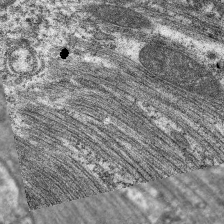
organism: C. elegans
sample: Pharynx